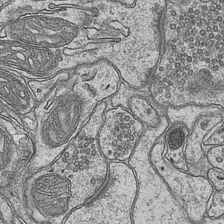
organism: Mouse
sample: CA1 Hippocampus